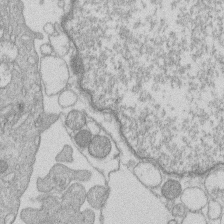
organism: Human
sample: Macrophage cells